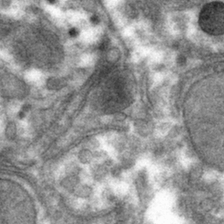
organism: Mouse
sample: Mouse hepatocytes